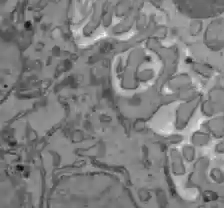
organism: C57BL Mouse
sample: Liver